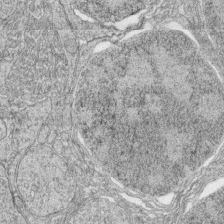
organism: Zebrafish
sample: synaptic ribbons in rod cells and cone cells